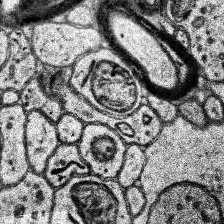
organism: Human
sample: Temporal Lobe